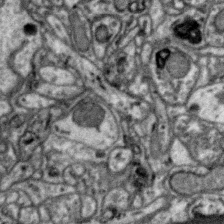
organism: Zebra finch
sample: Brain